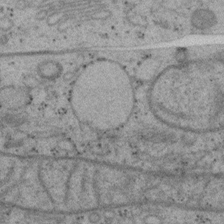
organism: Human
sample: HeLa cells